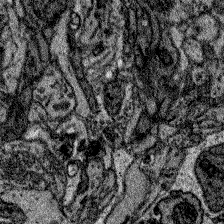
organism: Zebrafish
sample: Larval olfactory bulb